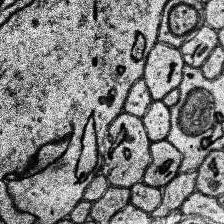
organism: Human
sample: Temporal Lobe